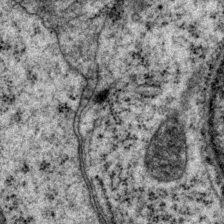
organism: P. pacificus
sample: Pharynx